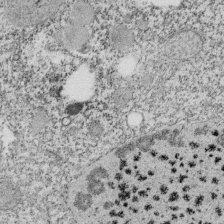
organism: Tetrahymena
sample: Cilia in tetrahymena